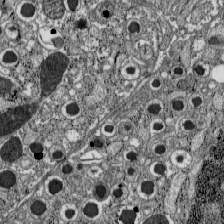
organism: C57BL Mouse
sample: Pancreatic islet